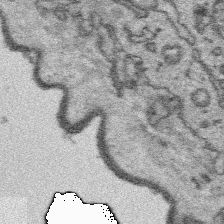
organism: Platynereis dumerilii